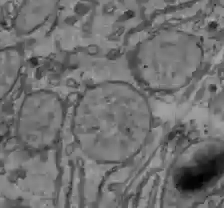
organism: C57BL Mouse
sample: Liver